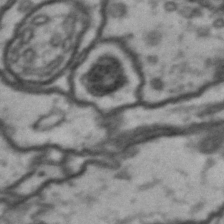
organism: Drosophila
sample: Brain